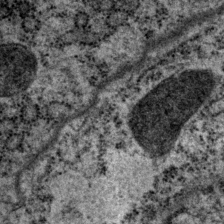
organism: P. pacificus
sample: Pharynx